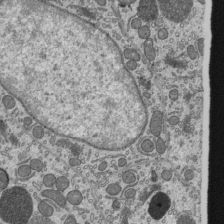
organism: Mouse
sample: Mouse epididymis efferent ductule cilia